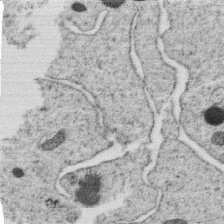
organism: C. elegans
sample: C. elegans oocyte; sperm cells